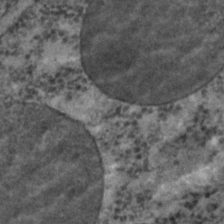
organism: C. elegans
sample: C. elegans embryo